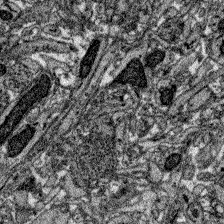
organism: Zebrafish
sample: Larval olfactory bulb